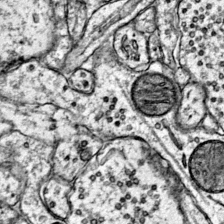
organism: Mouse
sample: Primary visual cortex